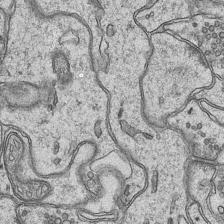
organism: Mouse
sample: CA1 Hippocampus